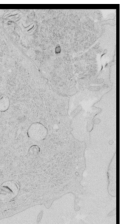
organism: Human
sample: Mitochondria in HCT116 cells